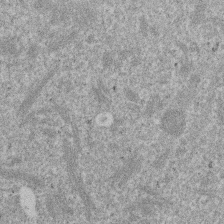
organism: Mouse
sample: Dividing mouse embryo 1 cell stage